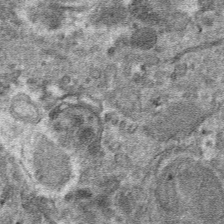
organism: Mouse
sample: Mouse hepatocytes